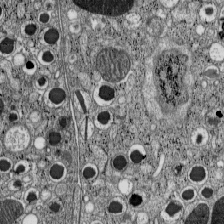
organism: C57BL Mouse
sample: Pancreatic islet